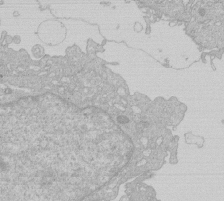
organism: Human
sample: Macrophage cells